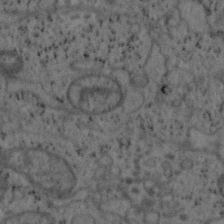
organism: Human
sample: HeLa cells